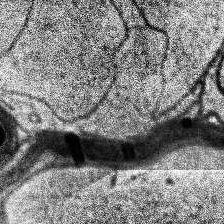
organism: Human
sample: Temporal Lobe